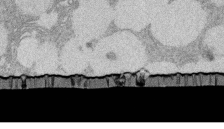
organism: Rat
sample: Salivary granule